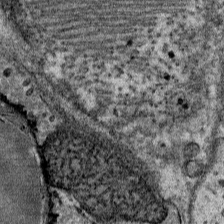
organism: Mouse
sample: Mouse Salivary gland